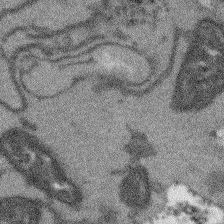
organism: Arabidopsis thaliana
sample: Root tip